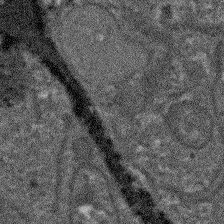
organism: Arabidopsis thaliana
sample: Root tip